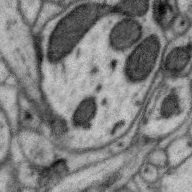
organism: Zebra finch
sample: Brain